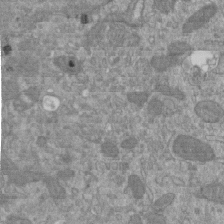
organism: Mouse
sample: ED-1 cell nuclei; centrioles